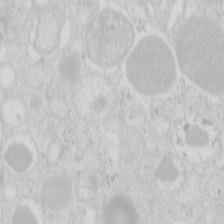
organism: Mouse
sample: Pancreas